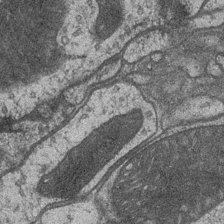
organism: Drosophila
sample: Optic medulla